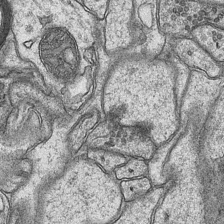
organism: Mouse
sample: CA1 Hippocampus